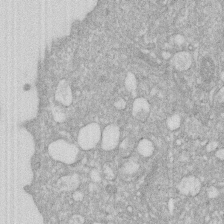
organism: Human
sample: HIV infected U937 cells